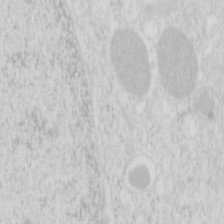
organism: Mouse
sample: Pancreas